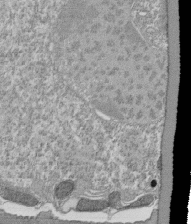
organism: Tetrahymena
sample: Cilia in tetrahymena